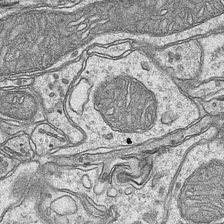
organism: Mouse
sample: CA1 Hippocampus